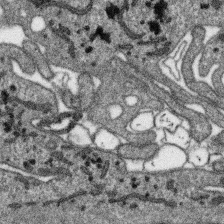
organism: Human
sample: Lung epithelial cells infected with SARS-CoV-2